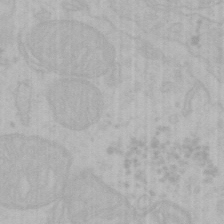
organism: Mouse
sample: Choroid plexus